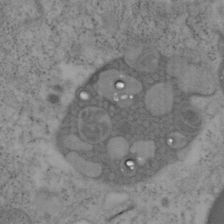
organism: Mouse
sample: OT-I killer T cells with ID8 ovarian cancer cells